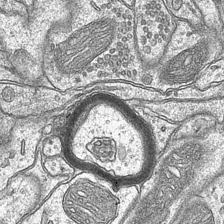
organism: Mouse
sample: CA1 Hippocampus